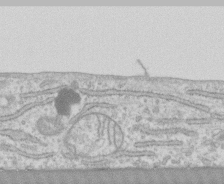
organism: Human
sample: CRL-1474